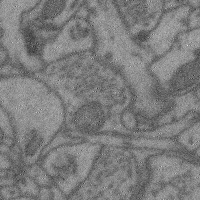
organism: Mouse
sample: Cerebral cortex